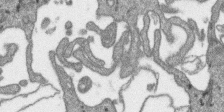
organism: Human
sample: Lung epithelial cells infected with SARS-CoV-2